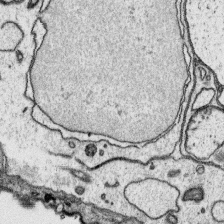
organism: Platynereis dumerilii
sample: Parapodia